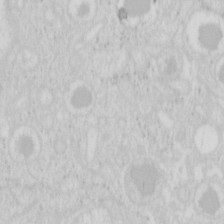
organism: Mouse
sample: Pancreas